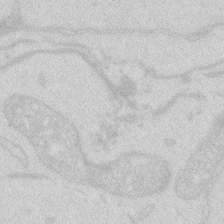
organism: Zebrafish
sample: Macrophage